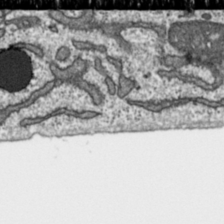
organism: Toxoplasma gondii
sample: Parasites in a vacuole inside a host cell